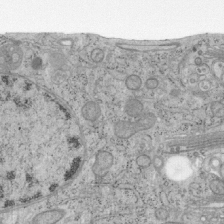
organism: Human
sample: HeLa cells